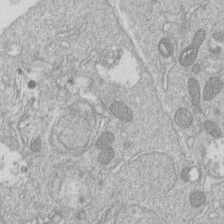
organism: Human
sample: Macrophage cells